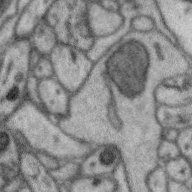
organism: Zebra finch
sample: Brain